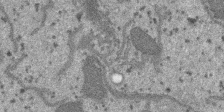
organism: Human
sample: Lung epithelial cells infected with SARS-CoV-2